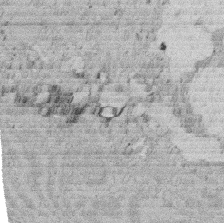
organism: Rat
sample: Salivary granule